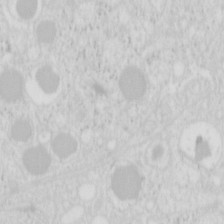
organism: Mouse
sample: Pancreas